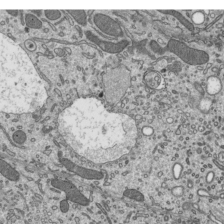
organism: Mouse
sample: Mouse epididymis efferent ductule cilia